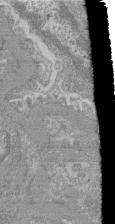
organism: Mouse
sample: Glomerulus